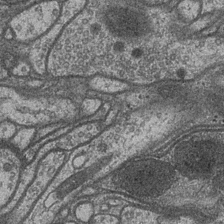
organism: Drosophila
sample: Optic medulla